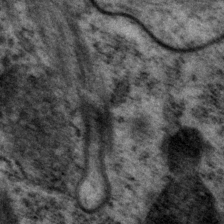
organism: P. pacificus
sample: Pharynx